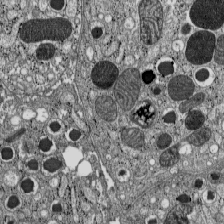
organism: C57BL Mouse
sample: Pancreatic islet